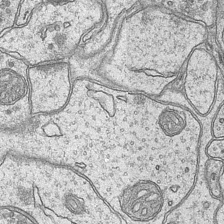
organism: Mouse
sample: CA1 Hippocampus